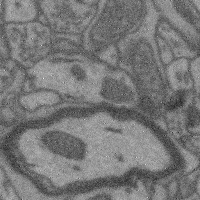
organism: Mouse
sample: Cerebral cortex